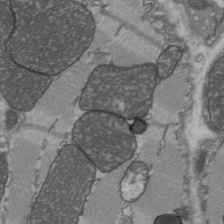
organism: C57BL Mouse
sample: Heart